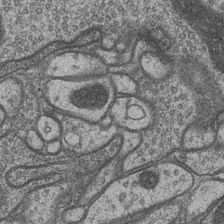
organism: Drosophila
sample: Optic medulla